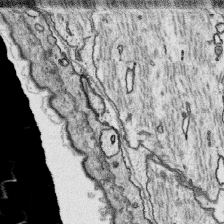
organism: Platynereis dumerilii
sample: Parapodia